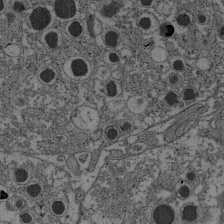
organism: C57BL Mouse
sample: Pancreatic islet